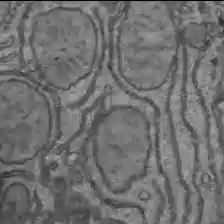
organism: C57BL Mouse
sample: Liver